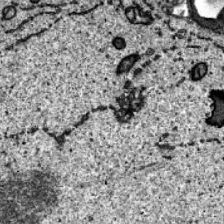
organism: Human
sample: HeLa cells